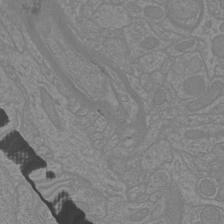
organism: Mouse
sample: Cortical neurons